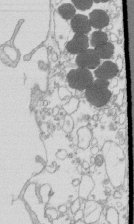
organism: Mouse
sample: Macrophages